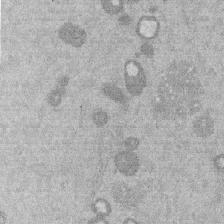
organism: Mouse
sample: Dividing mouse embryo 1 cell stage